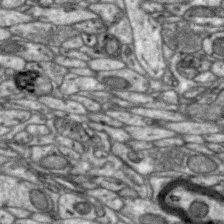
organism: Zebra finch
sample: Brain